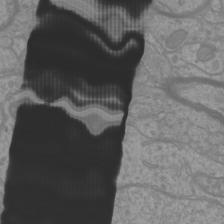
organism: Mouse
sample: Cortical neurons